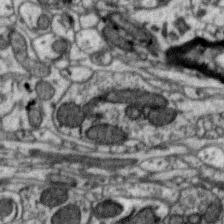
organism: Zebra finch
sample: Brain